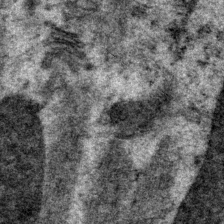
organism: P. pacificus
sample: Pharynx